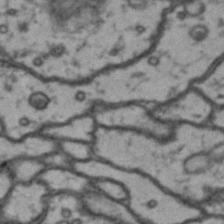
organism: Drosophila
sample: Brain